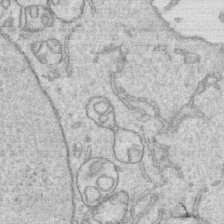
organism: Human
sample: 1205lu cells